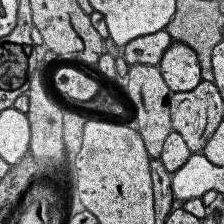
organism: Human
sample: Temporal Lobe